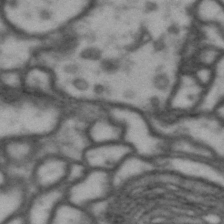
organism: Drosophila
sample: Brain